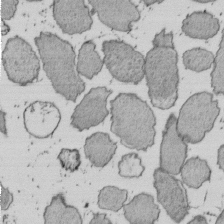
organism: E. coli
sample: Bacterial nucleoid